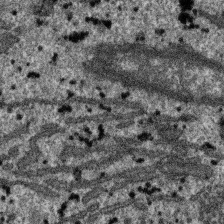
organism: Human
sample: Lung epithelial cells infected with SARS-CoV-2